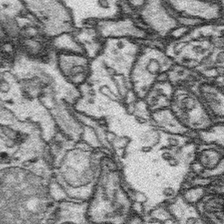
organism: Platynereis dumerilii